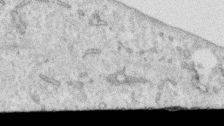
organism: Human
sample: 1205lu cells